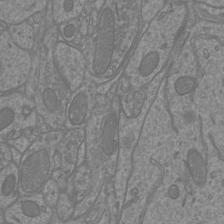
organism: Mouse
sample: Cortical neurons